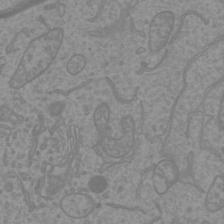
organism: Mouse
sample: Cortical neurons